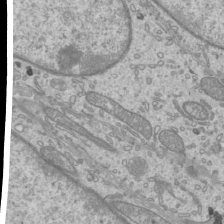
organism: Mouse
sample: Cilia; mouse epididymis